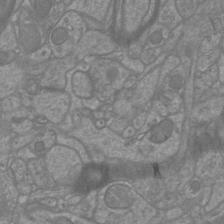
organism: Mouse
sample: Cortical neurons